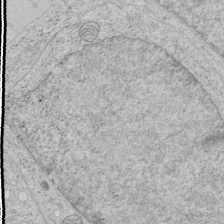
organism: Human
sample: Mitochondria in HCT116 cells